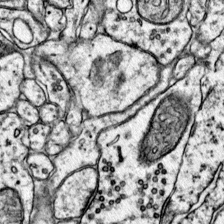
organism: Mouse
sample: Primary visual cortex